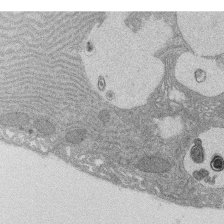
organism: Rat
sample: Salivary granule